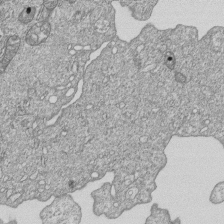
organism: Human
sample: MDA-MB-231 cells